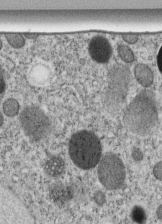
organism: C. elegans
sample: C. elegans embryo early stage